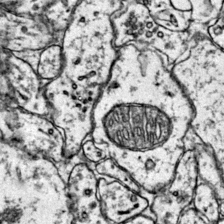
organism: Mouse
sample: Primary visual cortex